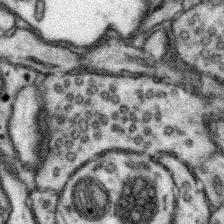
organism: Mouse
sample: Somatosensory cortex neuropil